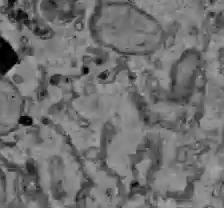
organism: C57BL Mouse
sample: Liver